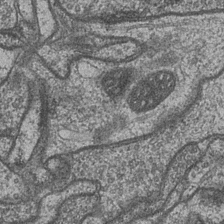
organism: Drosophila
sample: Optic medulla